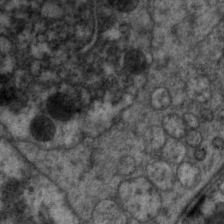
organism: C. elegans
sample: Pharynx